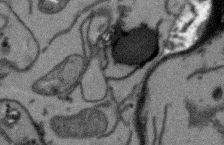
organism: Arabidopsis thaliana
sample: Root tip